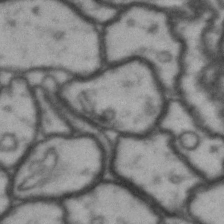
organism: Drosophila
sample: Brain